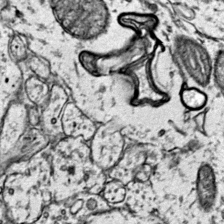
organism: Mouse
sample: Primary visual cortex